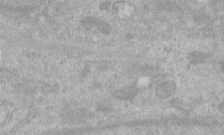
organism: Human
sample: Centriole in RPE cells